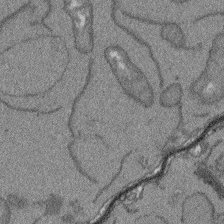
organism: Arabidopsis thaliana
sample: Root tip